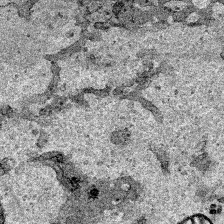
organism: Human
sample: Mitochondria in HCT116 cells